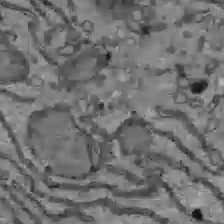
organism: C57BL Mouse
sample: Liver